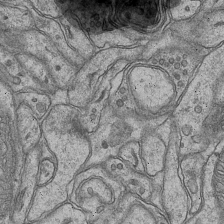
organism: Mouse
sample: CA1 Hippocampus